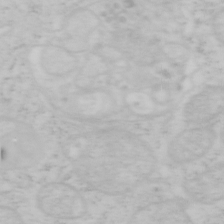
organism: Mouse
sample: OT-I killer T cells with ID8 ovarian cancer cells